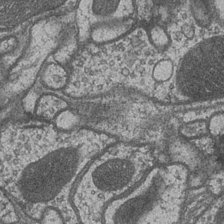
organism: Drosophila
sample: Optic medulla